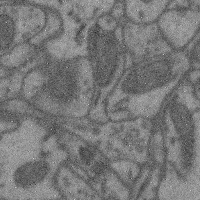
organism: Mouse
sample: Cerebral cortex